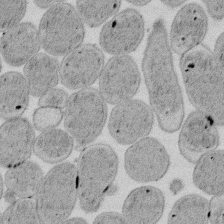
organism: E. coli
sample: Bacterial nucleoid